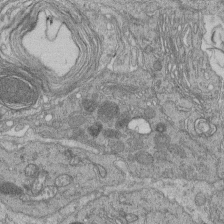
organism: Human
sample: Retinal organoid Rod and Cone cells